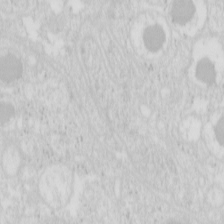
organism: Mouse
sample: Pancreas